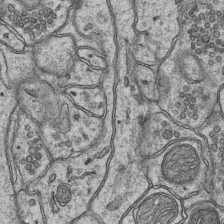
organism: Mouse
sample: CA1 Hippocampus